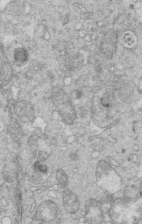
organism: Mouse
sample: Multiciliated cells